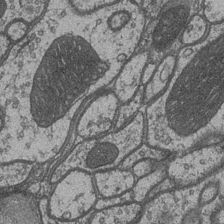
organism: Drosophila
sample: Optic medulla